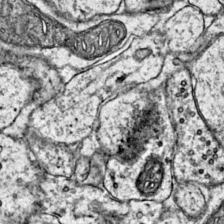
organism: Mouse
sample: Primary visual cortex